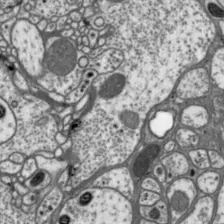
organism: Drosophila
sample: Protocerebral bridge